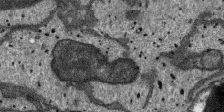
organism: Human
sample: Lung epithelial cells, uninfected (mock) control